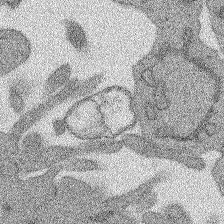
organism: Human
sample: HeLa cells